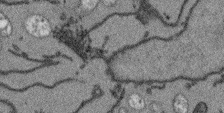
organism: Arabidopsis thaliana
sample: Root tip